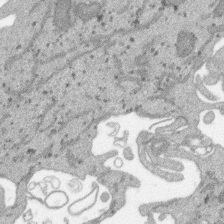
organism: Human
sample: Lung epithelial cells infected with SARS-CoV-2